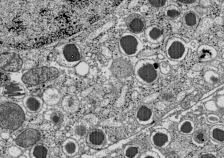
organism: C57BL Mouse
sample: Pancreatic islet